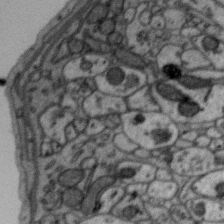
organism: Zebra finch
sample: Brain